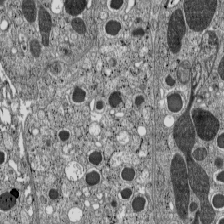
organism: C57BL Mouse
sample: Pancreatic islet